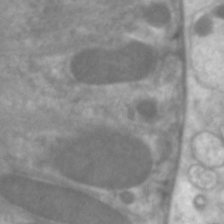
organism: C. elegans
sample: Pharynx